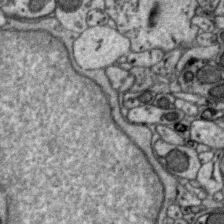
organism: Zebra finch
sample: Brain